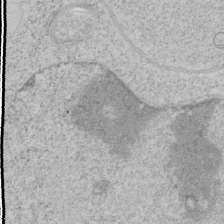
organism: Human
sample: Mitochondria in HCT116 cells